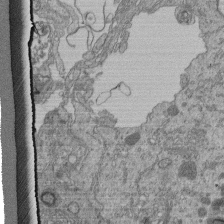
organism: Human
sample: Retinal organoid Rod and Cone cells